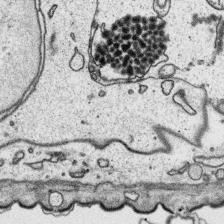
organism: Platynereis dumerilii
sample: Parapodia